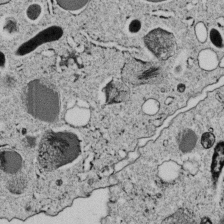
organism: C. elegans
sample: C. elegans embryo early stage